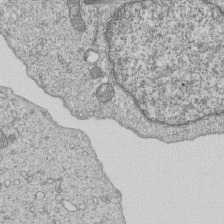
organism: Human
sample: MDA-MB-231 cells